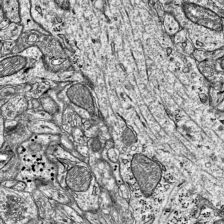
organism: Mouse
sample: Visual Cortex